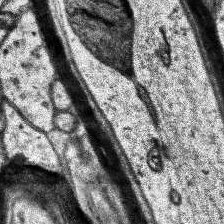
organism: Human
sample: Temporal Lobe